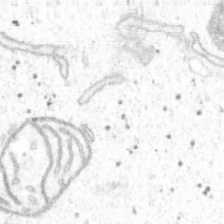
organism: Human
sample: HeLa cells